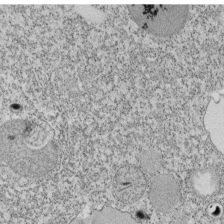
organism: Tetrahymena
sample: Cilia in tetrahymena